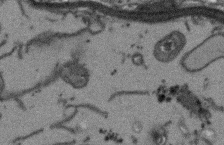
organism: Arabidopsis thaliana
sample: Root tip